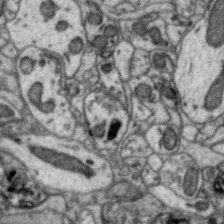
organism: Zebra finch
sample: Brain